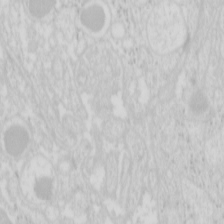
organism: Mouse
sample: Pancreas